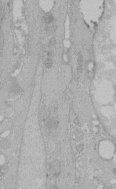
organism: Human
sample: Melanocyte Keratinocyte synapse skin construct